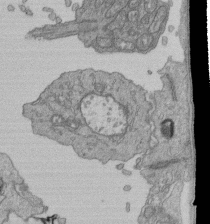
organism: Human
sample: Retinal organoid Rod and Cone cells